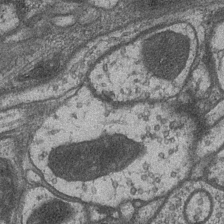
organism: Drosophila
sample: Optic medulla